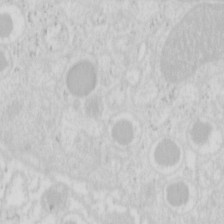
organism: Mouse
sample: Pancreas